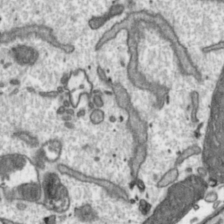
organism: Toxoplasma gondii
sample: Parasites in a vacuole inside a host cell